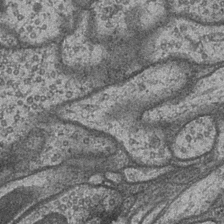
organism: Drosophila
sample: Optic medulla